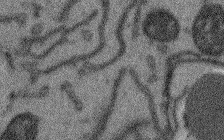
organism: Arabidopsis thaliana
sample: Root tip